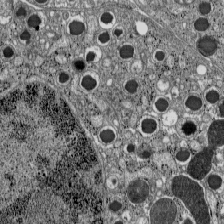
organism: C57BL Mouse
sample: Pancreatic islet